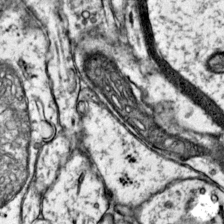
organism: Mouse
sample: Primary visual cortex